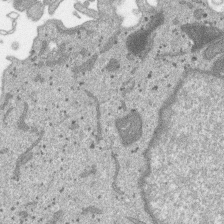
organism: Human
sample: Lung epithelial cells infected with SARS-CoV-2